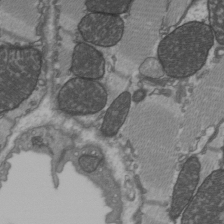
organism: C57BL Mouse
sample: Heart